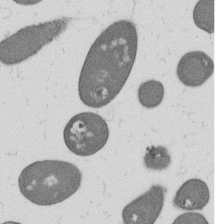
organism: B. subtilis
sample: Bacterial spore